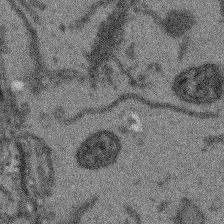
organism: Arabidopsis thaliana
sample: Root tip